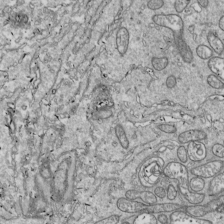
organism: Drosophila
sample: Cell division; meiosis; drosophila spermatocytes